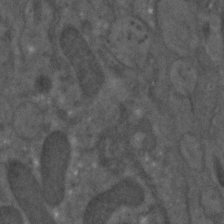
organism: C. elegans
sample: C. elegans embryo